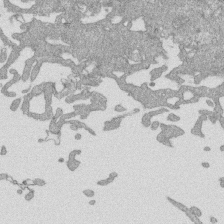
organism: Human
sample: HeLa cell HIV synapse